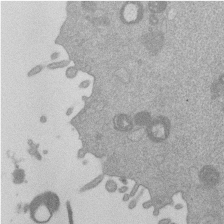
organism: Mouse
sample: Dividing mouse embryo 1 cell stage